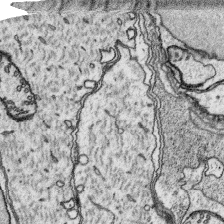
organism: Platynereis dumerilii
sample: Parapodia